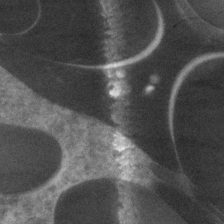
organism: Zebrafish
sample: Zebrafish embryo